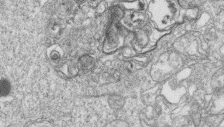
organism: Human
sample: HeLa cell HIV synapse